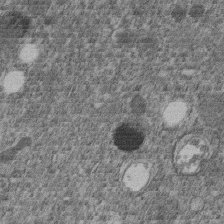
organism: C. elegans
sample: C. elegans embryo early stage